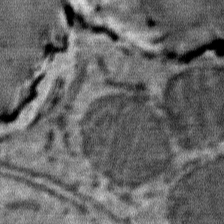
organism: Mouse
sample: Mouse Salivary gland